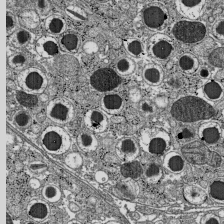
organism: C57BL Mouse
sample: Pancreatic islet